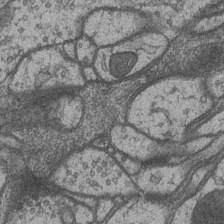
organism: Drosophila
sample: Optic medulla